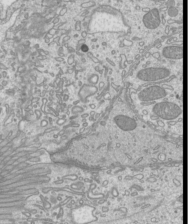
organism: Mouse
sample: Cilia; mouse epididymis